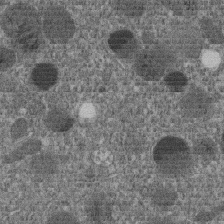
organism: C. elegans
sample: C. elegans embryo early stage